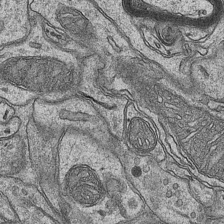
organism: Mouse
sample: CA1 Hippocampus